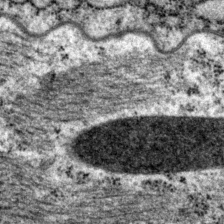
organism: P. pacificus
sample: Pharynx